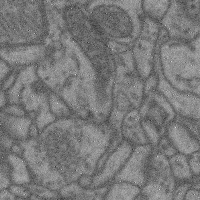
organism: Mouse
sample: Cerebral cortex